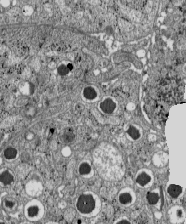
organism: C57BL Mouse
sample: Pancreatic islet